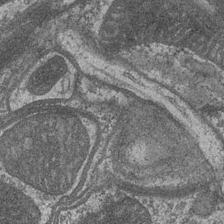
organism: Drosophila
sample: Optic medulla